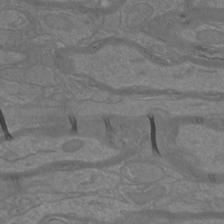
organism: Mouse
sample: Cortical neurons